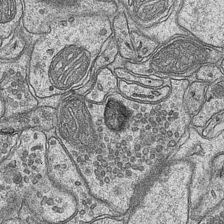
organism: Mouse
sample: CA1 Hippocampus